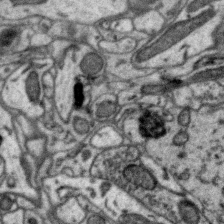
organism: Zebra finch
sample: Brain